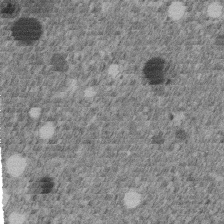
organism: C. elegans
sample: C. elegans embryo early stage